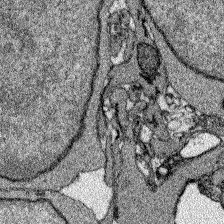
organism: Zebrafish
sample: Larval olfactory bulb